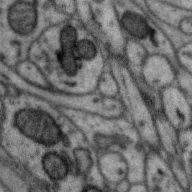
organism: Zebra finch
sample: Brain